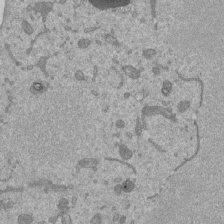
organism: Mouse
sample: ED-1 cell nuclei; centrioles